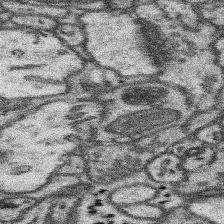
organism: Mouse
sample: Somatosensory cortex neuropil